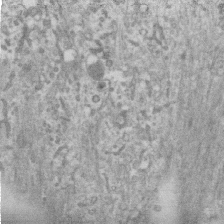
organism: Human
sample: Centriole in RPE cells